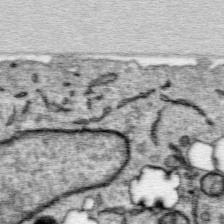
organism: Human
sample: HeLa cells